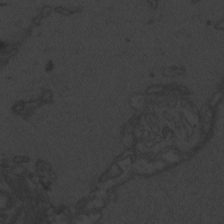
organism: Zebrafish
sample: Macrophage infected with Toxoplasma gondii